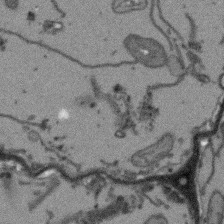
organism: Arabidopsis thaliana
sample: Root tip